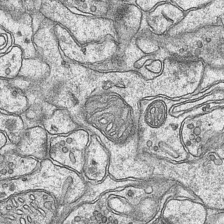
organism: Mouse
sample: CA1 Hippocampus